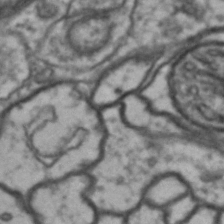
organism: Drosophila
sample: Brain